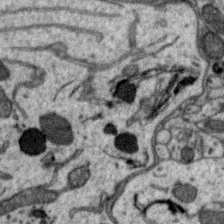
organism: Zebra finch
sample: Brain